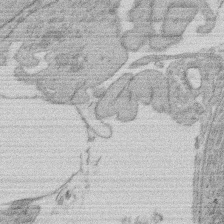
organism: Rat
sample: Salivary granule